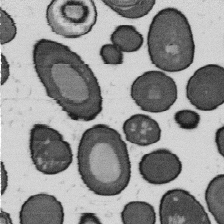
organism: B. subtilis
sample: Bacterial spore